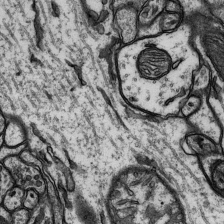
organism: Rat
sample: Hippocampus